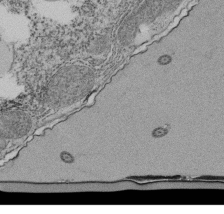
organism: Tetrahymena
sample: Cilia in tetrahymena